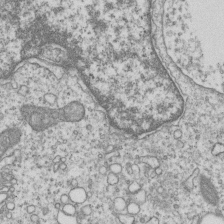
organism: Human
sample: MDA-MB-231 cells